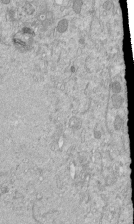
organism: Mouse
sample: ED-1 cell nuclei; centrioles